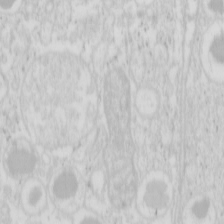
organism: Mouse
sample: Pancreas